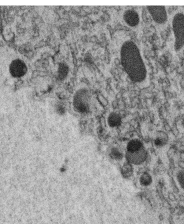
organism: C. elegans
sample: C. elegans oocyte; sperm cells